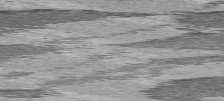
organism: C57BL Mouse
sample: Heart